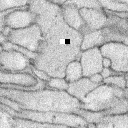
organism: Rabbit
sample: Retina